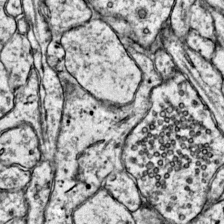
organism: Mouse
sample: Primary visual cortex